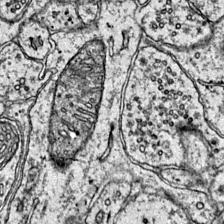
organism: Mouse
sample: Primary visual cortex